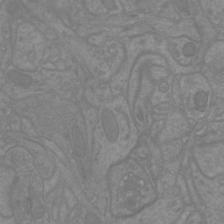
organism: Mouse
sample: Cortical neurons